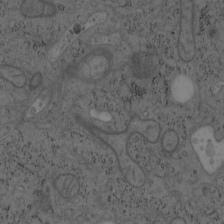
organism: Mouse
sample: OT-I killer T cells with ID8 ovarian cancer cells